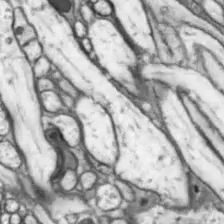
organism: Drosophila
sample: Optic lobe